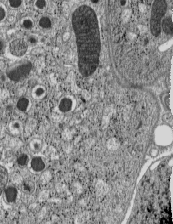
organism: C57BL Mouse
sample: Pancreatic islet